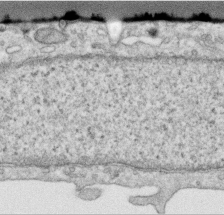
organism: Human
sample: Centriole in RPE cells